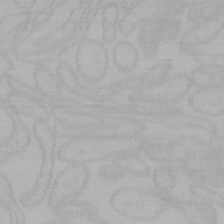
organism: Mouse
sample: Choroid plexus